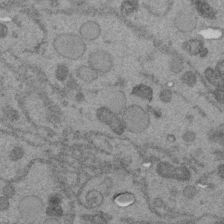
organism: C. elegans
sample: C. elegans embryo early stage